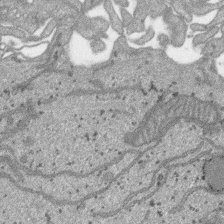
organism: Human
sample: Lung epithelial cells infected with SARS-CoV-2